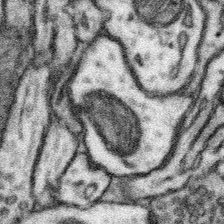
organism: Mouse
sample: Somatosensory cortex neuropil